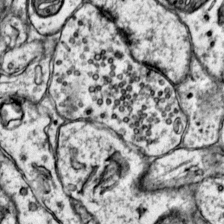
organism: Mouse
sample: Primary visual cortex